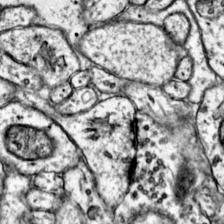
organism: Mouse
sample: Primary visual cortex